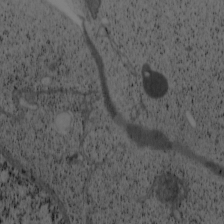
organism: African green monkey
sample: COS-7 cells